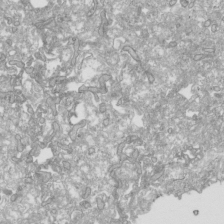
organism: Human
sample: Mitochondria in HCT116 cells